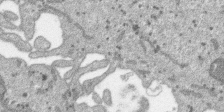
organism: Human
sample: Lung epithelial cells infected with SARS-CoV-2